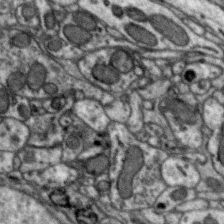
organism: Zebra finch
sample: Brain